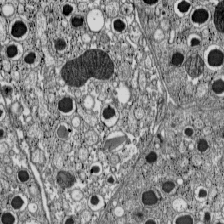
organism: C57BL Mouse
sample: Pancreatic islet